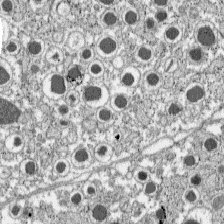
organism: C57BL Mouse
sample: Pancreatic islet